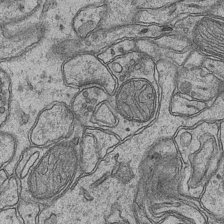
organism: Mouse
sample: CA1 Hippocampus